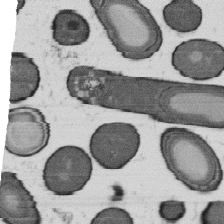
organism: B. subtilis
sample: Bacterial spore